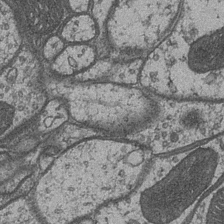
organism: Drosophila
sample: Optic medulla